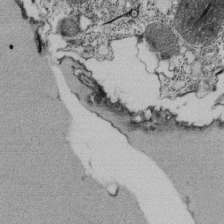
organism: Tetrahymena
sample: Cilia in tetrahymena